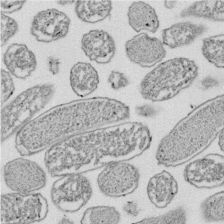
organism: E. coli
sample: Bacterial nucleoid